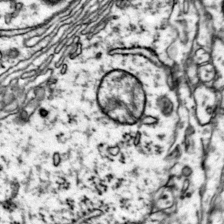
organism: Mouse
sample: Primary visual cortex